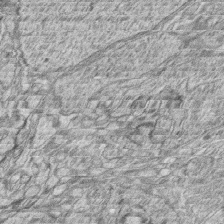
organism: Zebrafish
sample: synaptic ribbons in rod cells and cone cells